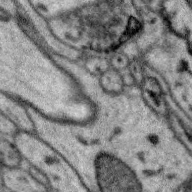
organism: Zebra finch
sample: Brain